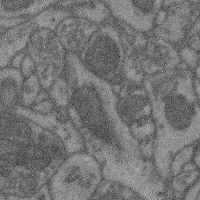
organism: Mouse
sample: Cerebral cortex